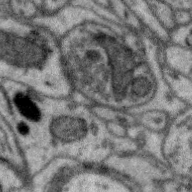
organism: Zebra finch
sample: Brain